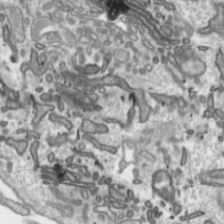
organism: Toxoplasma gondii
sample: Parasites in a vacuole inside a host cell